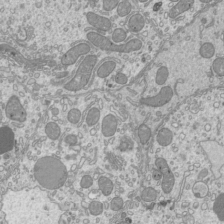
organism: Mouse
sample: Cilia; mouse epididymis